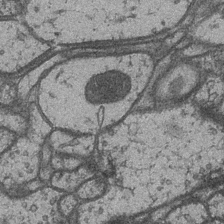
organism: Drosophila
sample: Optic medulla